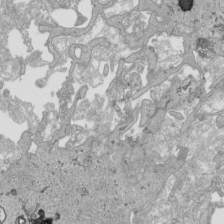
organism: Human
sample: Mitochondria in HCT116 cells